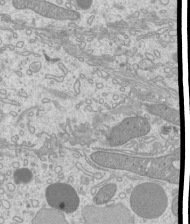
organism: Mouse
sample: Cilia; mouse epididymis